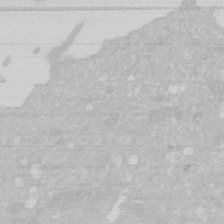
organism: Human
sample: HIV infected U937 cells